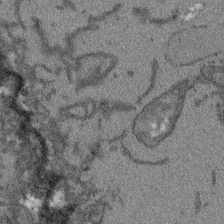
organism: Arabidopsis thaliana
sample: Root tip